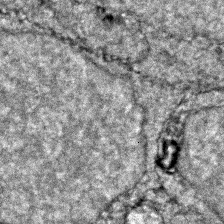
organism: Zebrafish